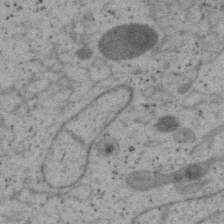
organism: Human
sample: HeLa cells